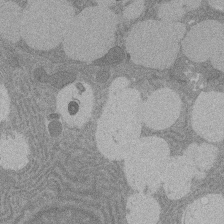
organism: Rat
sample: Salivary granule